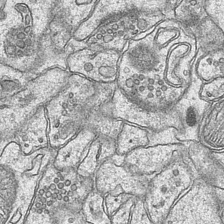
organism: Mouse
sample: CA1 Hippocampus